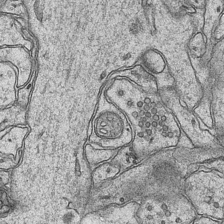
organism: Mouse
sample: CA1 Hippocampus